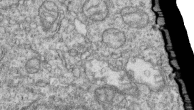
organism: Human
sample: HeLa cell HIV synapse